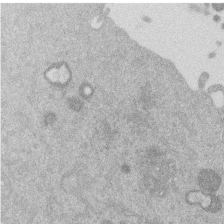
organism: Mouse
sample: Dividing mouse embryo 1 cell stage